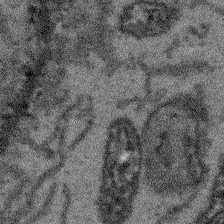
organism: Arabidopsis thaliana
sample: Root tip